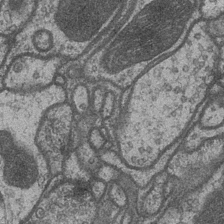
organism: Drosophila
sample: Optic medulla